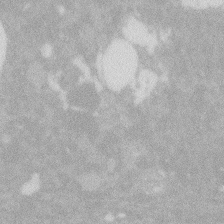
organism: Zebrafish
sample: Macrophage